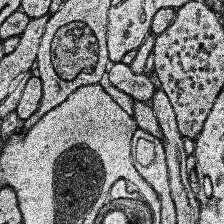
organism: Human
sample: Temporal Lobe